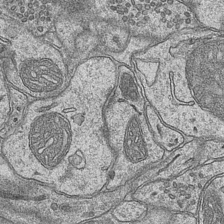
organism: Mouse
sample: CA1 Hippocampus